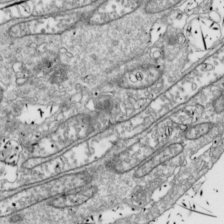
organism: Drosophila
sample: Cell division; meiosis; drosophila spermatocytes